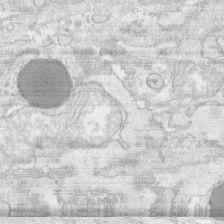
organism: Human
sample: CRL-1474